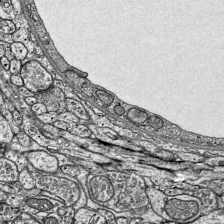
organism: Mouse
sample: Visual Cortex